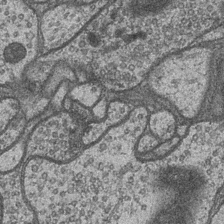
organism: Drosophila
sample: Optic medulla